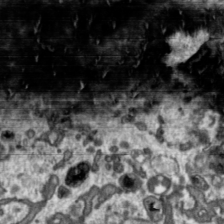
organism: Toxoplasma gondii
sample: Parasites in a vacuole inside a host cell